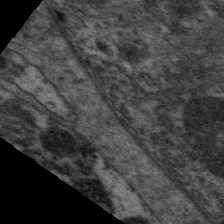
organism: C. elegans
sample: Pharynx